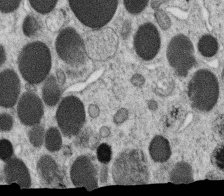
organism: C. elegans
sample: C. elegans oocyte; sperm cells